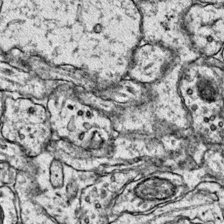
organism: Mouse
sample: Primary visual cortex